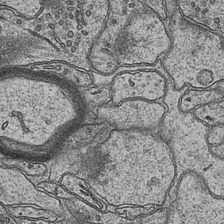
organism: Mouse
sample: CA1 Hippocampus